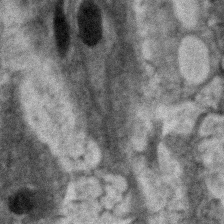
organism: Zebrafish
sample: Zebrafish embryo